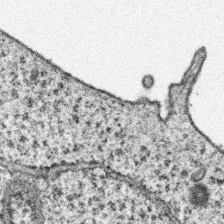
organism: Human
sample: HeLa cells